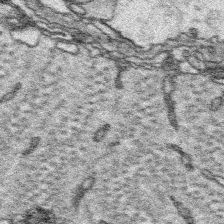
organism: Platynereis dumerilii